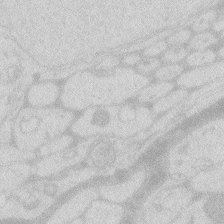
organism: Zebrafish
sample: Macrophage